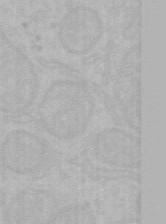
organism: Mouse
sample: Choroid plexus